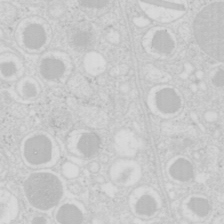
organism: Mouse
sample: Pancreas